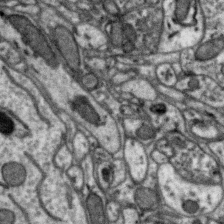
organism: Zebra finch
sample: Brain